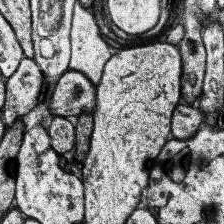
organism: Human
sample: Temporal Lobe